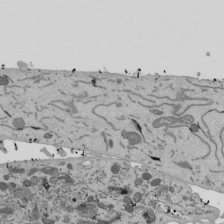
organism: Mouse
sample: ED-1 cell nuclei; centrioles